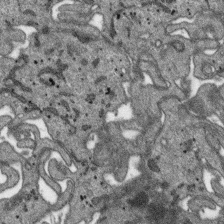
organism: Human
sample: Lung epithelial cells, uninfected (mock) control